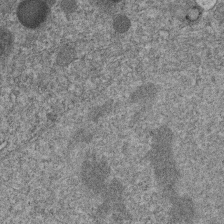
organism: C. elegans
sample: C. elegans embryo early stage